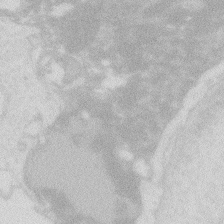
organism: Zebrafish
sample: Macrophage